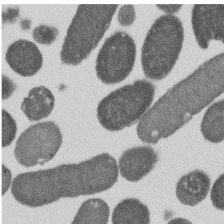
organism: E. coli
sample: Bacterial nucleoid